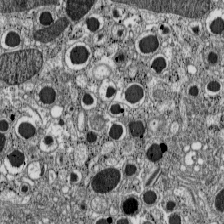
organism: C57BL Mouse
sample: Pancreatic islet